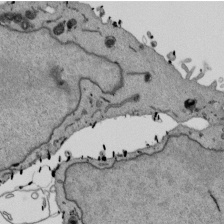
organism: Mouse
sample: ED-1 cell nuclei; centrioles